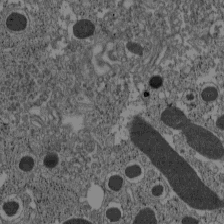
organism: C57BL Mouse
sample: Pancreatic islet